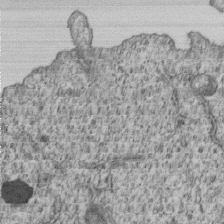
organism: Human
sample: MDA-MB-231 cells